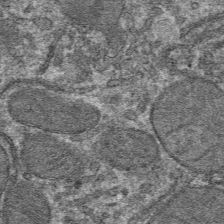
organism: Mouse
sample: Mouse hepatocytes